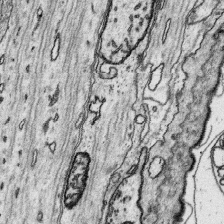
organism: Platynereis dumerilii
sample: Parapodia